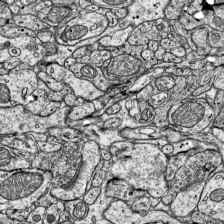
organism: Mouse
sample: Visual Cortex